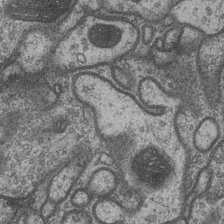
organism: Drosophila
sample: Optic medulla